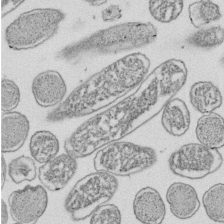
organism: E. coli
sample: Bacterial nucleoid